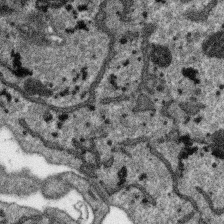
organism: Human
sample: Lung epithelial cells infected with SARS-CoV-2